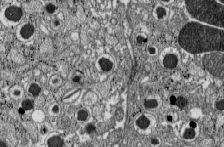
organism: C57BL Mouse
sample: Pancreatic islet